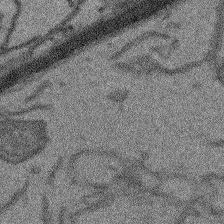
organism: Arabidopsis thaliana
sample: Root tip